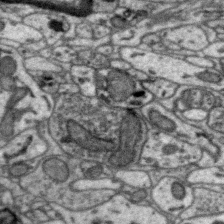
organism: Zebra finch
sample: Brain